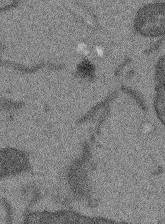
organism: Arabidopsis thaliana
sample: Root tip